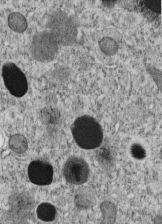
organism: C. elegans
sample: C. elegans embryo early stage